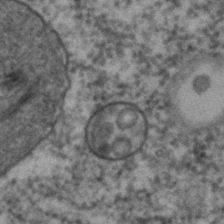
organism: C. elegans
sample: C. elegans embryo